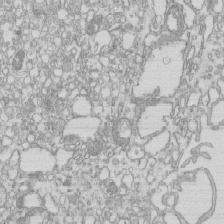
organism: Mouse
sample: Macrophages